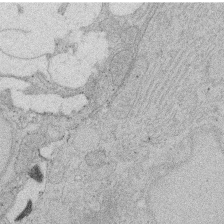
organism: Rat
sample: Salivary granule